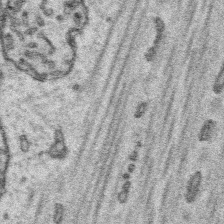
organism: Platynereis dumerilii